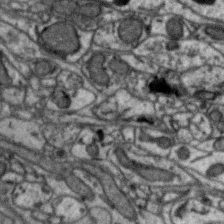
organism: Zebra finch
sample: Brain